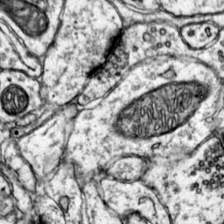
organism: Mouse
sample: Primary visual cortex